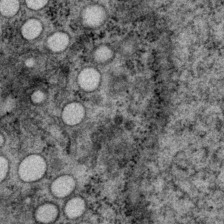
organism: P. pacificus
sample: Pharynx